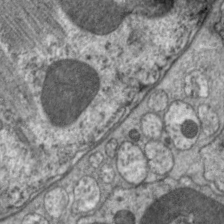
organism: C. elegans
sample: Pharynx